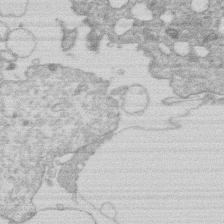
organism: Human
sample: Macrophage cells